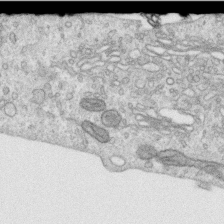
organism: Human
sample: Centriole in RPE cells